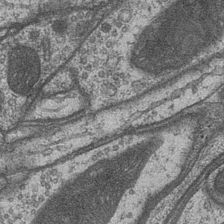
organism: Drosophila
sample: Optic medulla